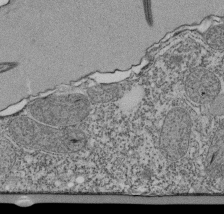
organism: Tetrahymena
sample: Cilia in tetrahymena